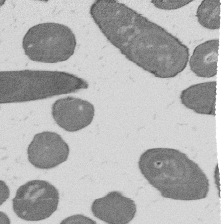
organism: B. subtilis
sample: Bacterial spore